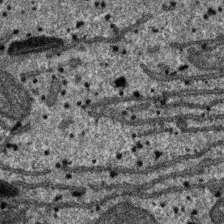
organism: Human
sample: Lung epithelial cells infected with SARS-CoV-2